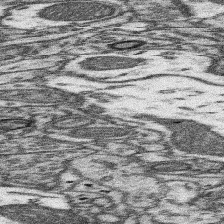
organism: Mouse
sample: Somatosensory cortex neuropil